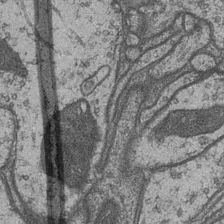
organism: Drosophila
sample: Optic medulla